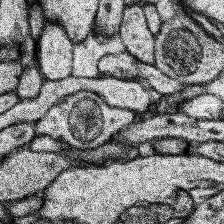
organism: Human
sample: Temporal Lobe